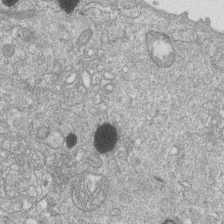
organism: Human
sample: HeLa cell HIV synapse